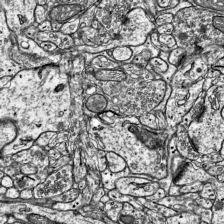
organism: Mouse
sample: Visual Cortex